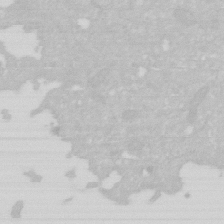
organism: Human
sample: HIV infected U937 cells